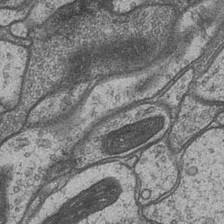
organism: Drosophila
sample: Optic medulla